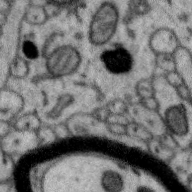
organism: Zebra finch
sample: Brain